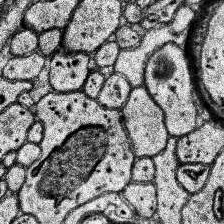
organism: Human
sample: Temporal Lobe